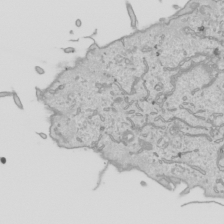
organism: Human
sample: Mitochondria in HCT116 cells